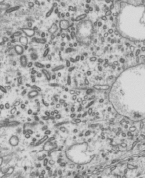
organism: Mouse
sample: Mouse epididymis efferent ductule cilia